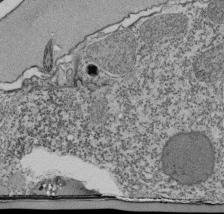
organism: Tetrahymena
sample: Cilia in tetrahymena